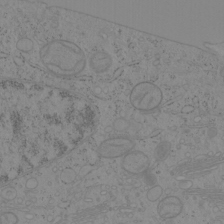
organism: Human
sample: HeLa cells